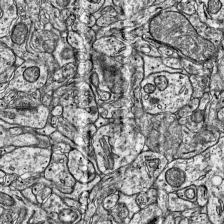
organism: Mouse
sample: Visual Cortex